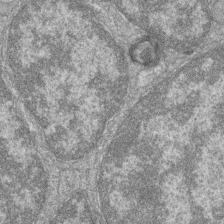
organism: Zebrafish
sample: Cilia; retinal pigment epithelium